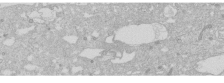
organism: Human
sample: Caco-2 cells